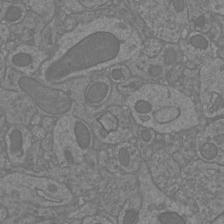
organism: Mouse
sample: Cortical neurons